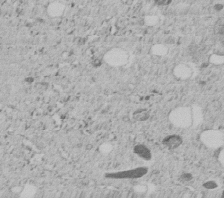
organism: C. elegans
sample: C. elegans embryo early stage